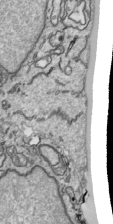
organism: Human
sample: Mitochondria in HCT116 cells